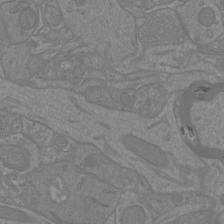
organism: Mouse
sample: Cortical neurons